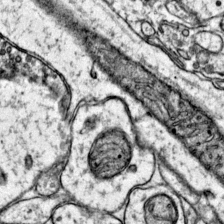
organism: Mouse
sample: Primary visual cortex